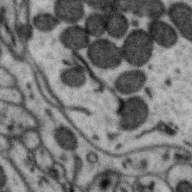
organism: Zebra finch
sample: Brain